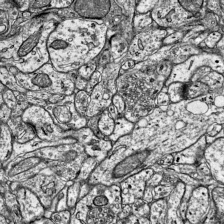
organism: Mouse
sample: Visual Cortex